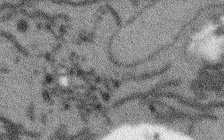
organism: Arabidopsis thaliana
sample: Root tip